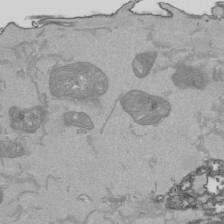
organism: Human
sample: Mitochondria in HCT116 cells